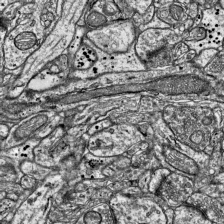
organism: Mouse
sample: Visual Cortex